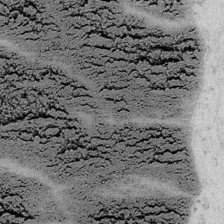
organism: Embia sp.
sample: Silk gland